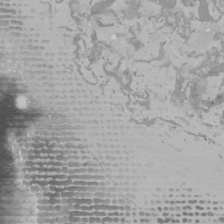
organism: Mouse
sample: Cancer cell death in ED-1 cells